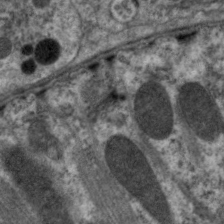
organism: C. elegans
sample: Pharynx